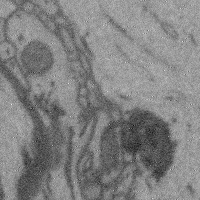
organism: Mouse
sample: Cerebral cortex